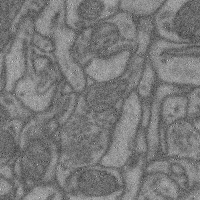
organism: Mouse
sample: Cerebral cortex